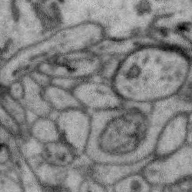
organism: Zebra finch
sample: Brain